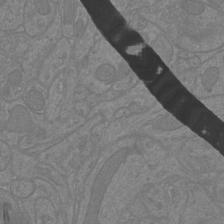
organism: Mouse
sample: Cortical neurons